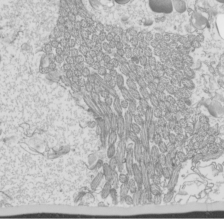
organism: Mouse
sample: Cilia; mouse epididymis